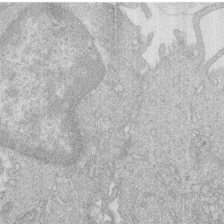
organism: Human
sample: Macrophage cells